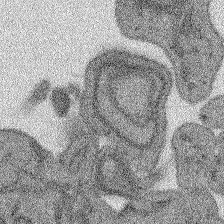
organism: Human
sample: HeLa cells